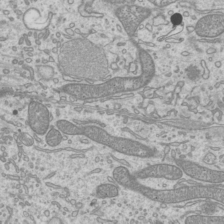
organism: Mouse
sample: Cilia; mouse epididymis